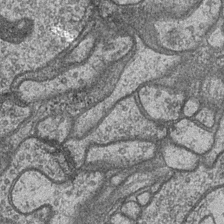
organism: Drosophila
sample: Optic medulla